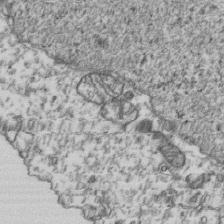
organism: Human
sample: Activated Jurkat CD4+ T cells